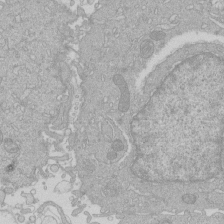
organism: Human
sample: Macrophage cells